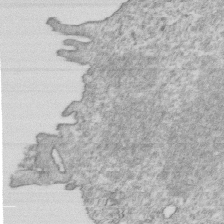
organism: Mouse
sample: Activated OT-1 CD8+ T cells